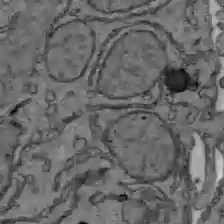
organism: C57BL Mouse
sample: Liver